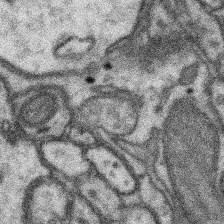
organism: Mouse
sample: Somatosensory cortex neuropil